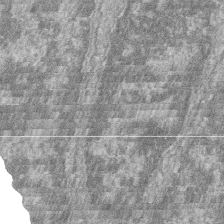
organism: Zebrafish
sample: Cilia; retinal pigment epithelium